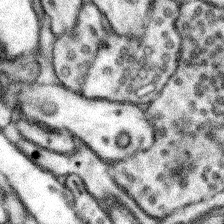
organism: Mouse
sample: Somatosensory cortex neuropil